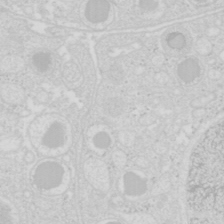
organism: Mouse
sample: Pancreas